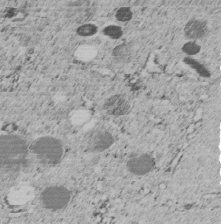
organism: C. elegans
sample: C. elegans embryo early stage